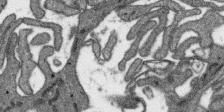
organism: Human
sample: Lung epithelial cells, uninfected (mock) control